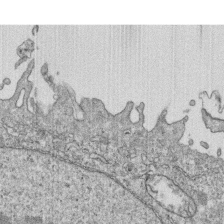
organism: Human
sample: HeLa cell HIV synapse